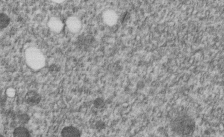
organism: C. elegans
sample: C. elegans embryo early stage